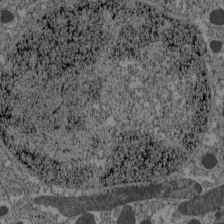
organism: C57BL Mouse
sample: Pancreatic islet